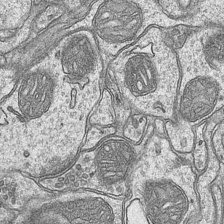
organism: Mouse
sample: CA1 Hippocampus